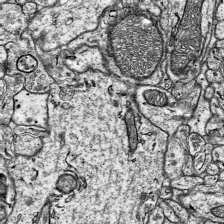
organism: Mouse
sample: Visual Cortex